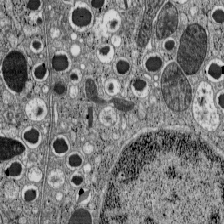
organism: C57BL Mouse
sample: Pancreatic islet